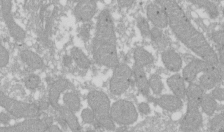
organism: Xenopus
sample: Cilia; centrioles in frog embryo cells